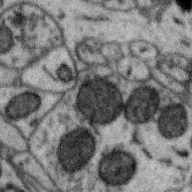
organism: Zebra finch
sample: Brain